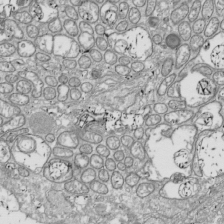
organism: Drosophila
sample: Cell division; meiosis; drosophila spermatocytes